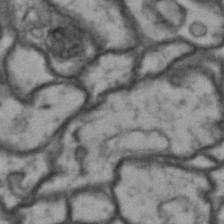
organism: Drosophila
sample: Brain